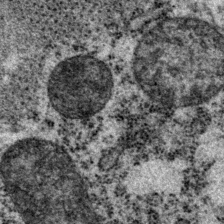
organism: P. pacificus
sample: Pharynx